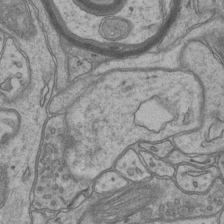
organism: Mouse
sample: CA1 Hippocampus